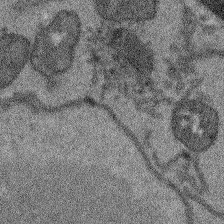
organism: Arabidopsis thaliana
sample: Root tip